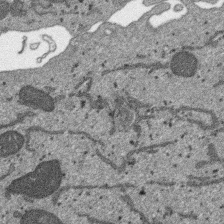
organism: Human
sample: Lung epithelial cells infected with SARS-CoV-2